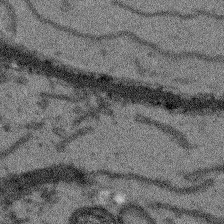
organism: Arabidopsis thaliana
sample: Root tip